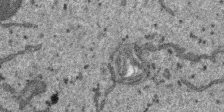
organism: Human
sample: Lung epithelial cells infected with SARS-CoV-2